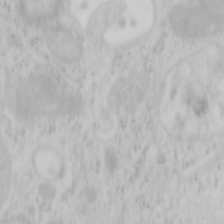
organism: Mouse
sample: OT-I killer T cells with ID8 ovarian cancer cells